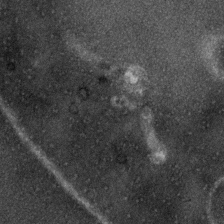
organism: Zebrafish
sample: Zebrafish embryo